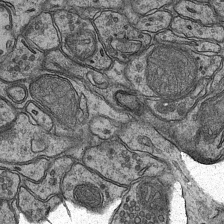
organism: Mouse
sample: CA1 Hippocampus